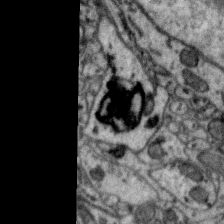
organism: Zebra finch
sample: Brain